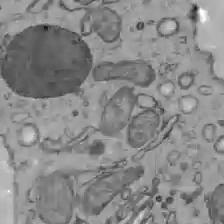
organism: C57BL Mouse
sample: Liver